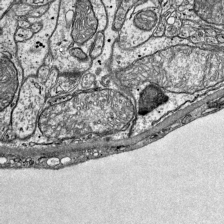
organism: Mouse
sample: Visual Cortex